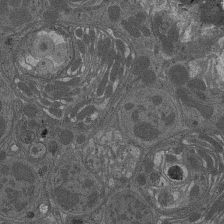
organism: Drosophila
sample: Antenna